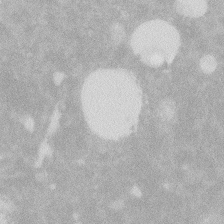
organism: Zebrafish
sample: Macrophage